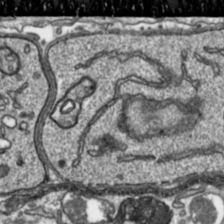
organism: Toxoplasma gondii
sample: Parasites in a vacuole inside a host cell